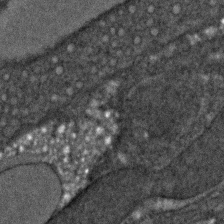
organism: C. elegans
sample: C. elegans embryo